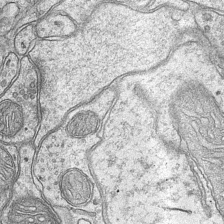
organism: Mouse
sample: CA1 Hippocampus